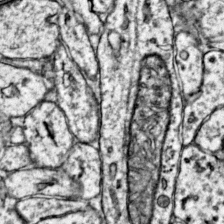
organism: Mouse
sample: Primary visual cortex